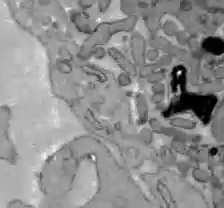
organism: C57BL Mouse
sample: Liver